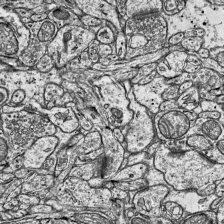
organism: Mouse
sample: Visual Cortex